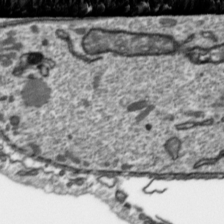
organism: Toxoplasma gondii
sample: Parasites in a vacuole inside a host cell